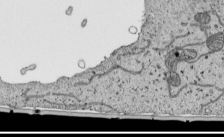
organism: Human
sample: Mitochondria in HCT116 cells